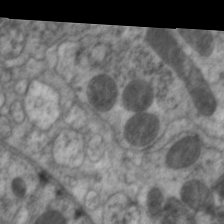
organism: C. elegans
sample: Pharynx